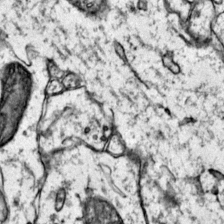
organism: Mouse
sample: Primary visual cortex